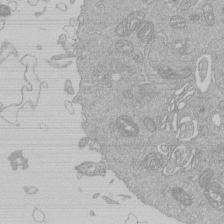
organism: Human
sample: Macrophage cells